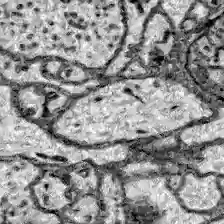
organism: Zebrafish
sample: Brain